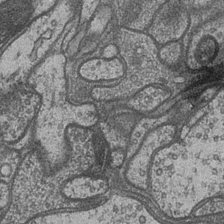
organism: Drosophila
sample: Optic medulla